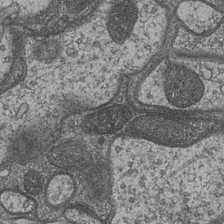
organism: Drosophila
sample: Optic medulla